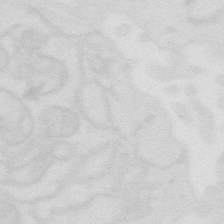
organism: Human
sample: HeLa cells